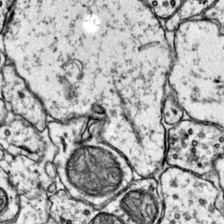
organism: Mouse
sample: Primary visual cortex